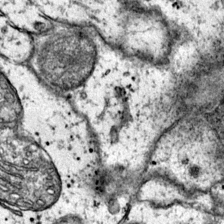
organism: Mouse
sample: Primary visual cortex